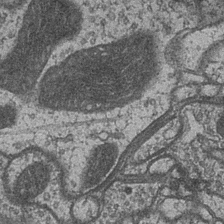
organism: Drosophila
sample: Optic medulla